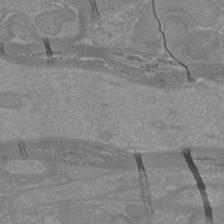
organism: Mouse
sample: Cortical neurons